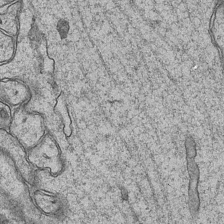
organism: Mouse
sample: CA1 Hippocampus